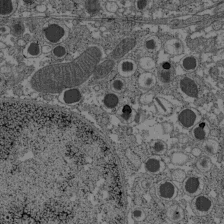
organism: C57BL Mouse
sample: Pancreatic islet